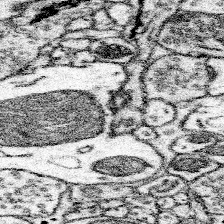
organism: Mouse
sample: Somatosensory cortex neuropil